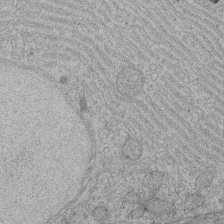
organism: Rat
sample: Salivary granule